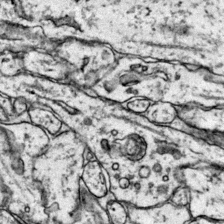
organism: Mouse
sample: Primary visual cortex